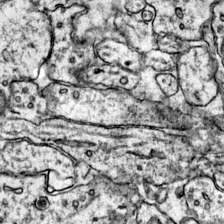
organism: Mouse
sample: Primary visual cortex